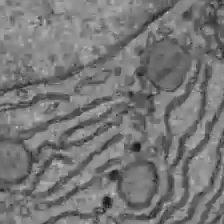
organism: C57BL Mouse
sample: Liver